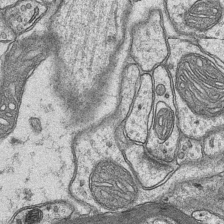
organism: Mouse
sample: CA1 Hippocampus